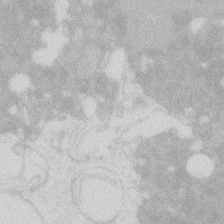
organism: Zebrafish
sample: Macrophage